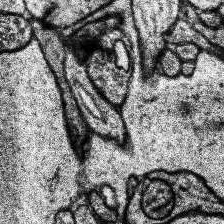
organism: Human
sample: Temporal Lobe